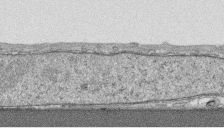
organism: Human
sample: CRL-1474